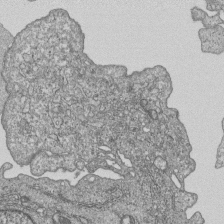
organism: Human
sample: MDA-MB-231 cells